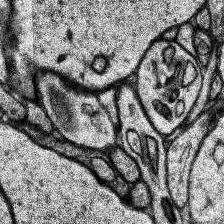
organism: Human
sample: Temporal Lobe